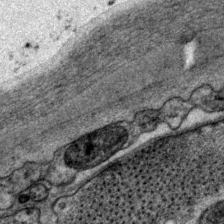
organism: P. pacificus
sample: Pharynx